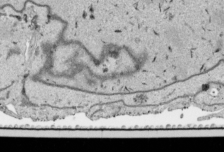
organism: Human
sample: Mitochondria in HCT116 cells